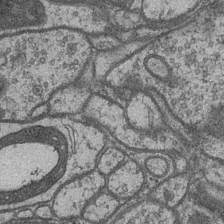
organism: Drosophila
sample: Optic medulla